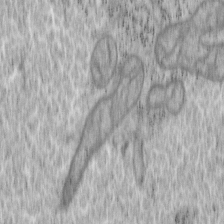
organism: Human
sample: HeLa cells